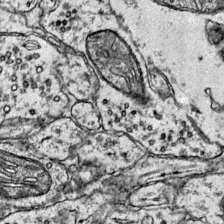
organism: Mouse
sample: Primary visual cortex